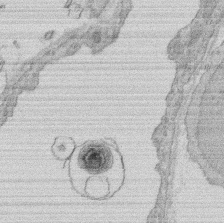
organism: Rat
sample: Salivary granule